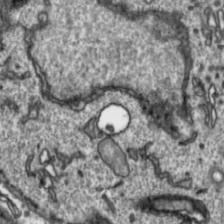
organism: Toxoplasma gondii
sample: Parasites in a vacuole inside a host cell